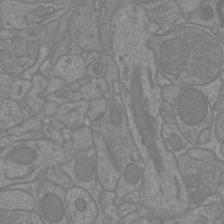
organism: Mouse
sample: Cortical neurons